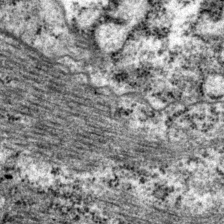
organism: P. pacificus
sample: Pharynx